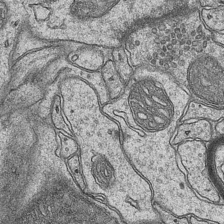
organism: Mouse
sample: CA1 Hippocampus